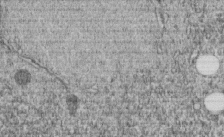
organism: C. elegans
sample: C. elegans embryo early stage